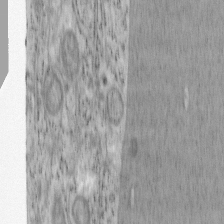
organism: Human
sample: HeLa cells